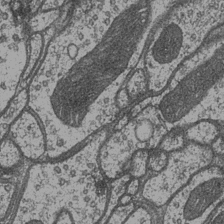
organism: Drosophila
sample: Optic medulla